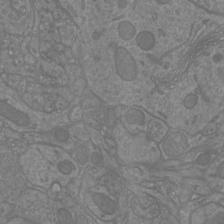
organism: Mouse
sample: Cortical neurons